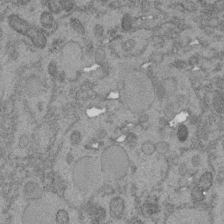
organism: C. elegans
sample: C. elegans embryo early stage